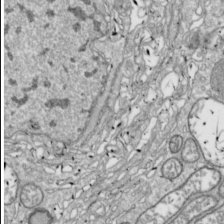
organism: Drosophila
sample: Cell division; meiosis; drosophila spermatocytes